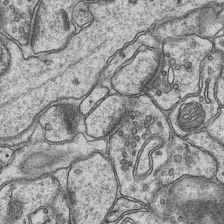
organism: Mouse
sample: CA1 Hippocampus